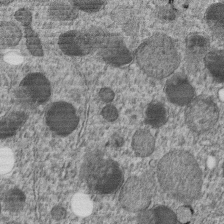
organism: C. elegans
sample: C. elegans embryo early stage